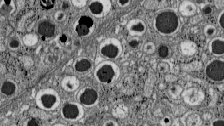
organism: C57BL Mouse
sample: Pancreatic islet